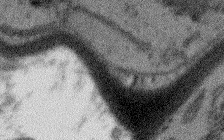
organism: Arabidopsis thaliana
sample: Root tip